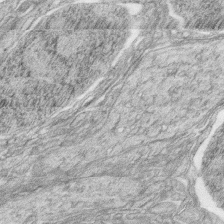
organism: Zebrafish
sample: synaptic ribbons in rod cells and cone cells